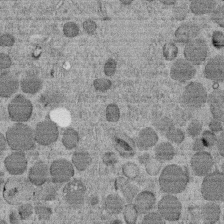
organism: C. elegans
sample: C. elegans embryo early stage